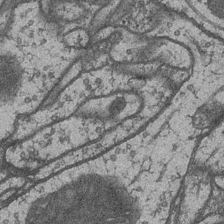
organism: Drosophila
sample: Optic medulla